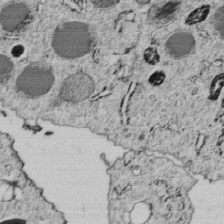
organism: C. elegans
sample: C. elegans embryo early stage